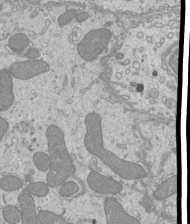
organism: Mouse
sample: Cilia; mouse epididymis